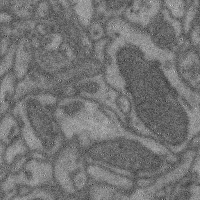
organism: Mouse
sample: Cerebral cortex